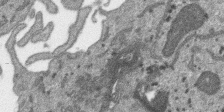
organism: Human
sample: Lung epithelial cells infected with SARS-CoV-2